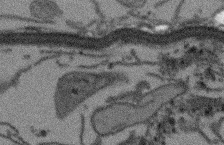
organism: Arabidopsis thaliana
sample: Root tip